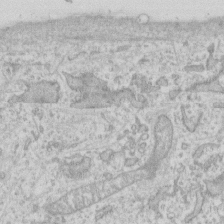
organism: Human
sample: Fibroblast cells